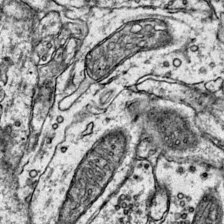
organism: Mouse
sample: Primary visual cortex